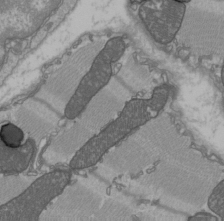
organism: C57BL Mouse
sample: Heart